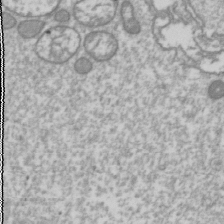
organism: Drosophila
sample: Cell division; meiosis; drosophila spermatocytes